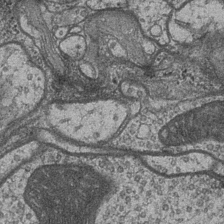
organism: Drosophila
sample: Optic medulla